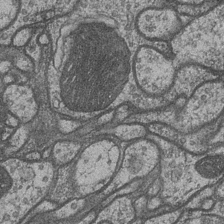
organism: Drosophila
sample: Optic medulla